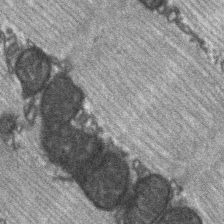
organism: C57BL Mouse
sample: Soleus